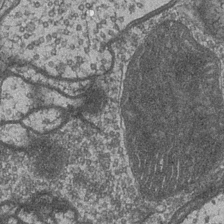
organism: Drosophila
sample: Optic medulla